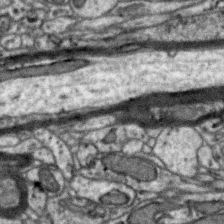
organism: Zebra finch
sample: Brain